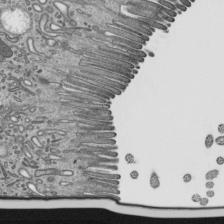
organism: Mouse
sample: Mouse epididymis efferent ductule cilia